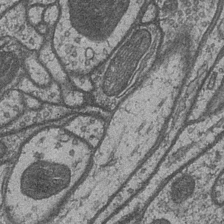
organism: Drosophila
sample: Optic medulla